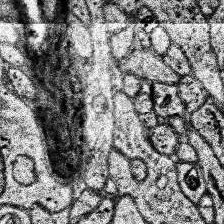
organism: Human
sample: Temporal Lobe